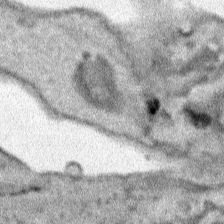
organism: Human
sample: Mitochondria in HCT116 cells